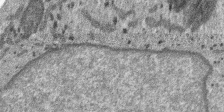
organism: Human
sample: Lung epithelial cells infected with SARS-CoV-2